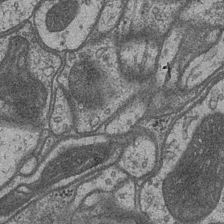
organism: Drosophila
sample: Optic medulla